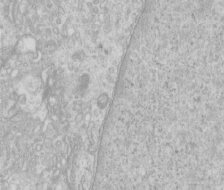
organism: Human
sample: Centriole in RPE cells